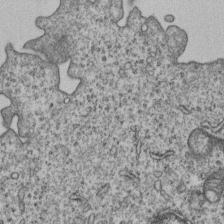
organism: Human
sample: MDA-MB-231 cells